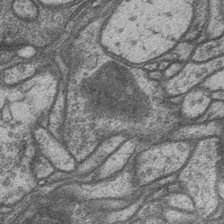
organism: Drosophila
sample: Optic medulla